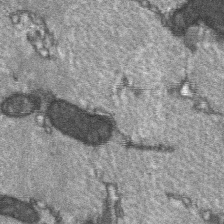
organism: C57BL Mouse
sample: Soleus